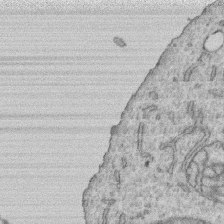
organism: Human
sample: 1205lu cells